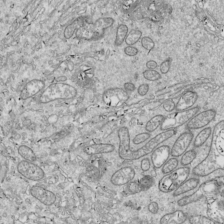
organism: Drosophila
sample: Cell division; meiosis; drosophila spermatocytes